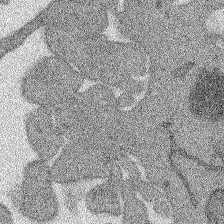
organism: Human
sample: HeLa cells